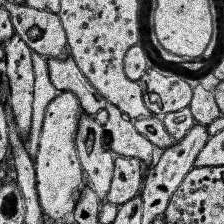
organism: Human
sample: Temporal Lobe